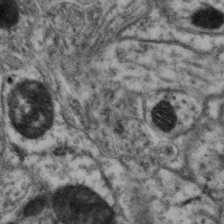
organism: Mouse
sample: Neocortex